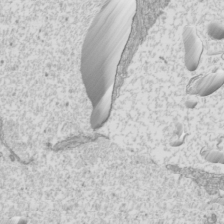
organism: Mouse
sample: Cilia; mouse epididymis